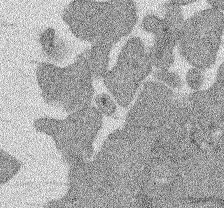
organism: Human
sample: HeLa cells